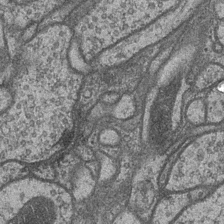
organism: Drosophila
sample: Optic medulla